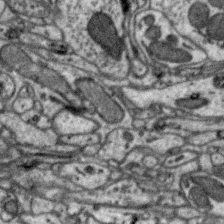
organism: Zebra finch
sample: Brain